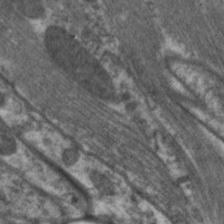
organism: C. elegans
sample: Pharynx